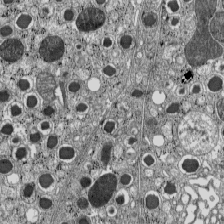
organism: C57BL Mouse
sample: Pancreatic islet